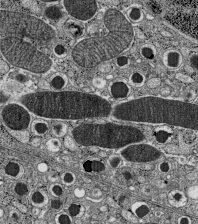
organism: C57BL Mouse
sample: Pancreatic islet